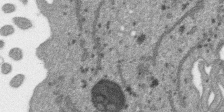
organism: Human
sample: Lung epithelial cells infected with SARS-CoV-2